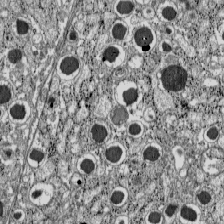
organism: C57BL Mouse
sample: Pancreatic islet